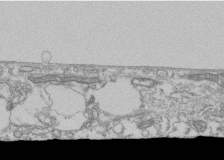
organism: Human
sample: Fibroblast cells